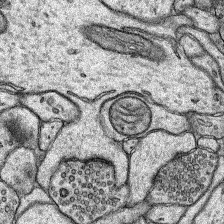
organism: Rat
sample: Hippocampus